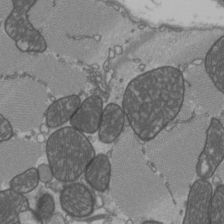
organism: C57BL Mouse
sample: Heart